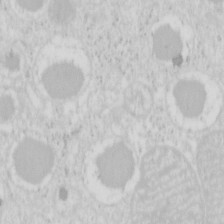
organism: Mouse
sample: Pancreas